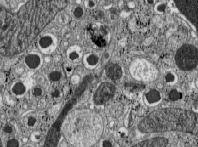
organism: C57BL Mouse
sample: Pancreatic islet